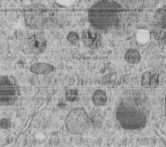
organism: C. elegans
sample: C. elegans embryo early stage